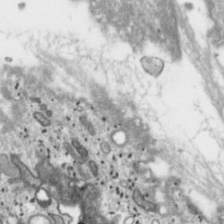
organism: Toxoplasma gondii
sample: Parasites in a vacuole inside a host cell